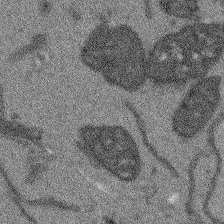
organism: Arabidopsis thaliana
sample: Root tip